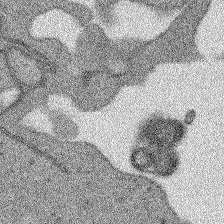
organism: Human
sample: HeLa cells